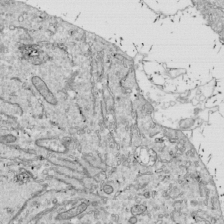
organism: Drosophila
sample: Cell division; meiosis; drosophila spermatocytes